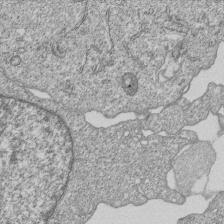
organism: Human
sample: MDA-MB-231 cells